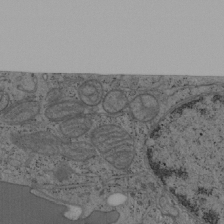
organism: Human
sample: HeLa cells